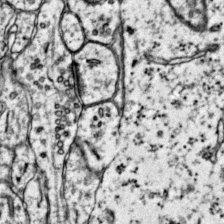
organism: Mouse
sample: Primary visual cortex